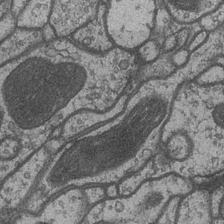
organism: Drosophila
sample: Optic medulla